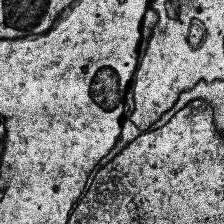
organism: Human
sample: Temporal Lobe